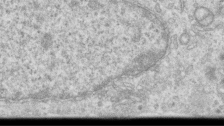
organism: Human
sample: Centriole in RPE cells